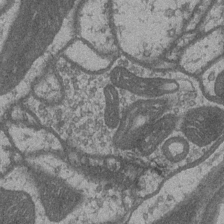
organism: Drosophila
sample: Optic medulla